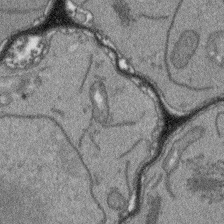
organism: Arabidopsis thaliana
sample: Root tip